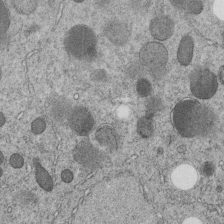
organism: C. elegans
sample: C. elegans embryo early stage